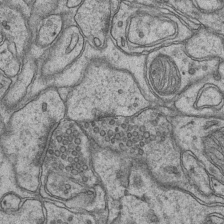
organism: Mouse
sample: CA1 Hippocampus